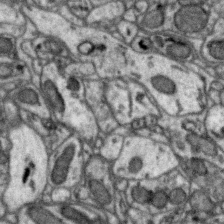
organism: Zebra finch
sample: Brain